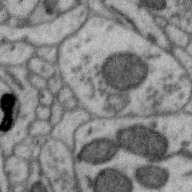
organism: Zebra finch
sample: Brain